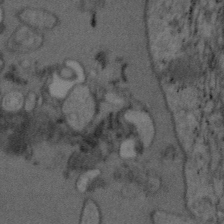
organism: Human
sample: HeLa cells